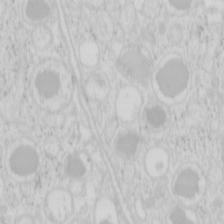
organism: Mouse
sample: Pancreas